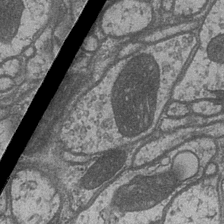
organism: Drosophila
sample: Optic medulla